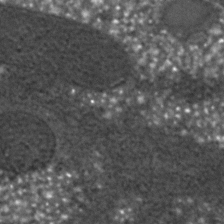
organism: C. elegans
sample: C. elegans embryo